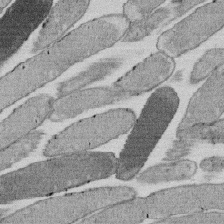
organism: E. coli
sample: Bacterial nucleoid